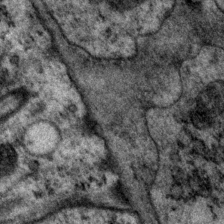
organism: P. pacificus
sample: Pharynx